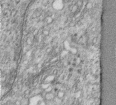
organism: Human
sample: Centriole in RPE cells